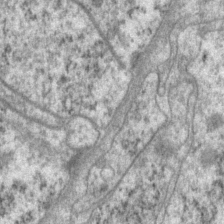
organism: P. pacificus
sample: Pharynx